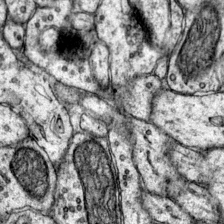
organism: Mouse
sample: Primary visual cortex